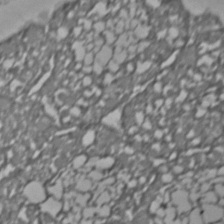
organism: C. elegans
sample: C. elegans embryo